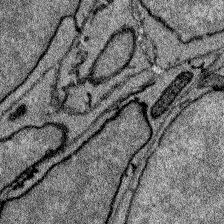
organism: Zebrafish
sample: Larval olfactory bulb